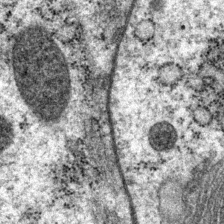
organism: P. pacificus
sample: Pharynx